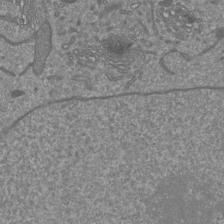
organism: Mouse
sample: Cortical neurons